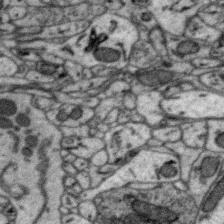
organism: Zebra finch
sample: Brain